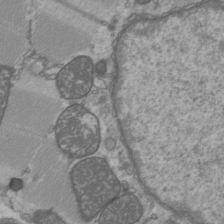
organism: C57BL Mouse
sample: Heart